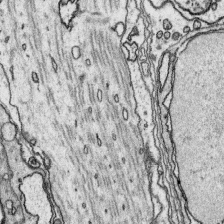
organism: Platynereis dumerilii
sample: Parapodia